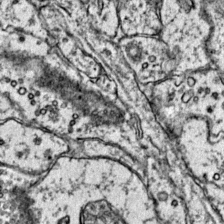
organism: Mouse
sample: Primary visual cortex